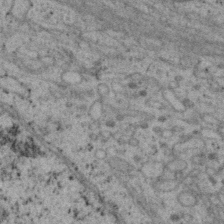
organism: Human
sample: HeLa cells